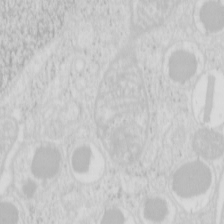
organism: Mouse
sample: Pancreas